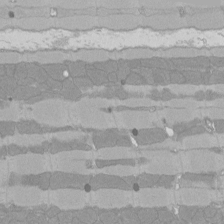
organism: Rat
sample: Left ventricle